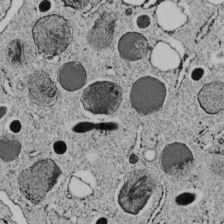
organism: C. elegans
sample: C. elegans embryo early stage